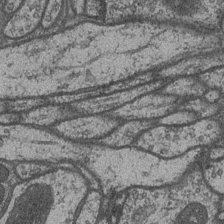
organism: Drosophila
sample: Optic medulla